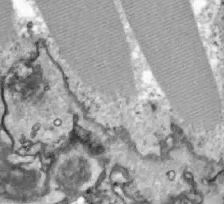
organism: Zebrafish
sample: Actinotrichia fibers